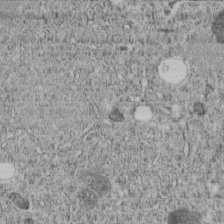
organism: C. elegans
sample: C. elegans embryo early stage